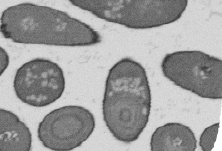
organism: B. subtilis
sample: Bacterial spore